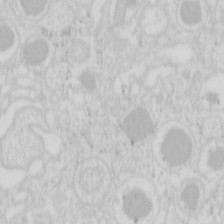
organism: Mouse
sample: Pancreas